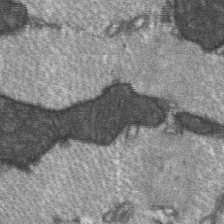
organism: C57BL Mouse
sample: Soleus